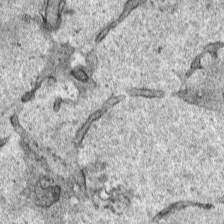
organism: Human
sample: Mitochondria in HCT116 cells